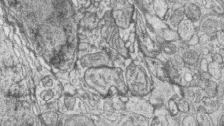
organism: Zebrafish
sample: synaptic ribbons in rod cells and cone cells